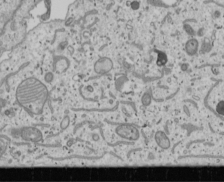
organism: Human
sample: Mitochondria in U2OS cells